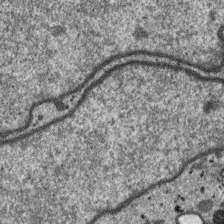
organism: Human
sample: Lung epithelial cells infected with SARS-CoV-2